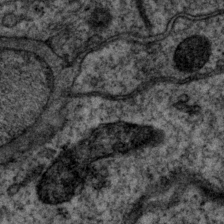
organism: P. pacificus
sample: Pharynx